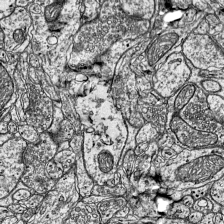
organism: Mouse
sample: Visual Cortex